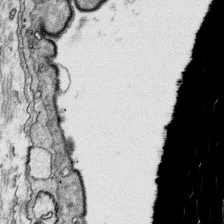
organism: Platynereis dumerilii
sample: Parapodia